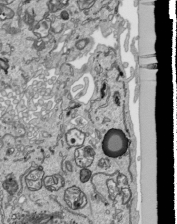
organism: Human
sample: Mitochondria in HCT116 cells